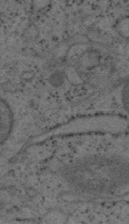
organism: Human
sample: HeLa cells